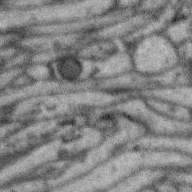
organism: Zebra finch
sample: Brain